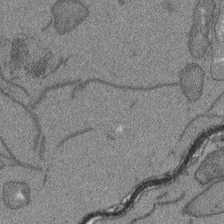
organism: Arabidopsis thaliana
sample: Root tip